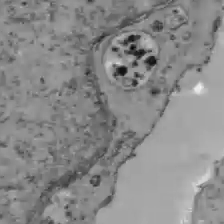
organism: C57BL Mouse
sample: Liver